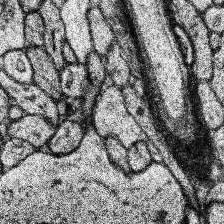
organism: Human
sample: Temporal Lobe